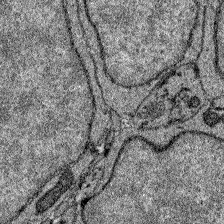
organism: Zebrafish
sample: Larval olfactory bulb